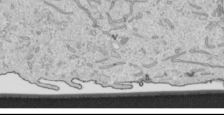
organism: Human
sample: Mitochondria in HCT116 cells